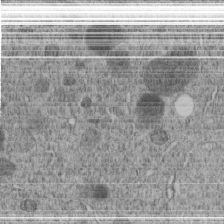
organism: C. elegans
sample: C. elegans embryo early stage